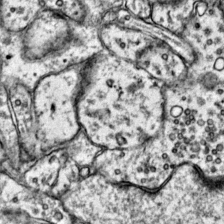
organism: Mouse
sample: Primary visual cortex